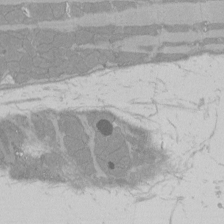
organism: Rat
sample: Left ventricle